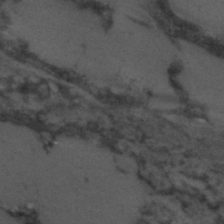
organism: C. elegans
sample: C. elegans embryo